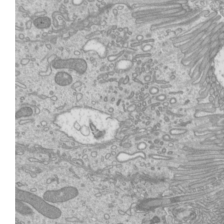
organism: Mouse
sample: Cilia; mouse epididymis